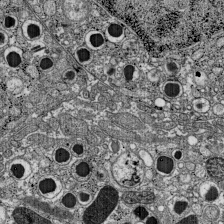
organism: C57BL Mouse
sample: Pancreatic islet